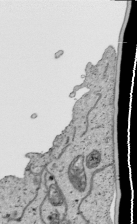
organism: Human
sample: Mitochondria in HCT116 cells